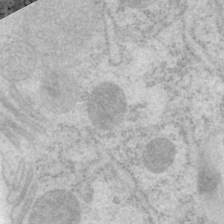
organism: P. pacificus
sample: Pharynx